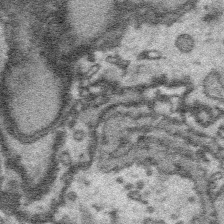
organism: Platynereis dumerilii